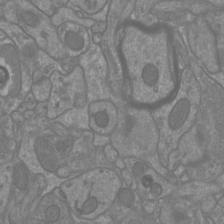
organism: Mouse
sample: Cortical neurons